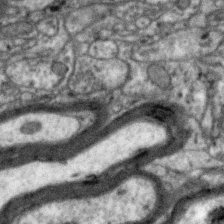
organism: Zebra finch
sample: Brain